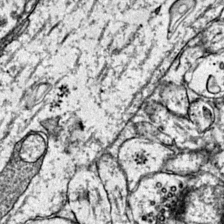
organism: Mouse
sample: Primary visual cortex